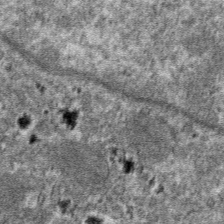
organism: Mouse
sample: Mouse hepatocytes